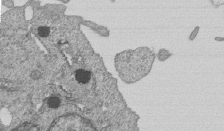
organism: Human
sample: MDA-MB-231 cells